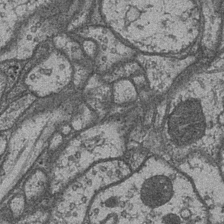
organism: Drosophila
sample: Optic medulla